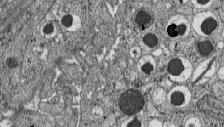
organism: C57BL Mouse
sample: Pancreatic islet